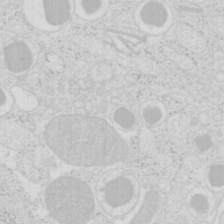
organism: Mouse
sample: Pancreas